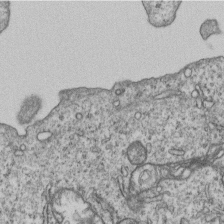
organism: Human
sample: MDA-MB-231 cells